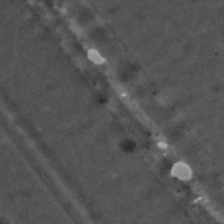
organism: C. elegans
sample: C. elegans embryo